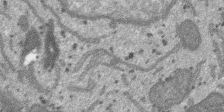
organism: Human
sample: Lung epithelial cells infected with SARS-CoV-2